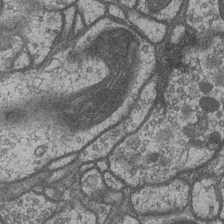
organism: Drosophila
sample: Optic medulla